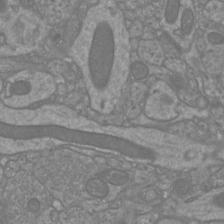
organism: Mouse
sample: Cortical neurons